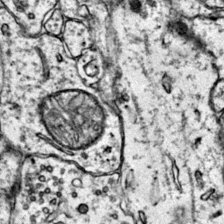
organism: Mouse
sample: Primary visual cortex